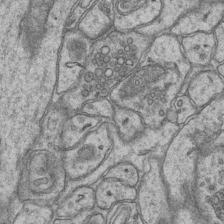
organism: Mouse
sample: CA1 Hippocampus